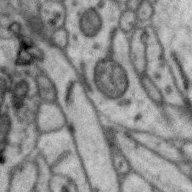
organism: Zebra finch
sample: Brain